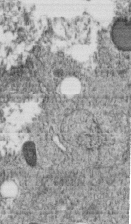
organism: C. elegans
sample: C. elegans embryo early stage